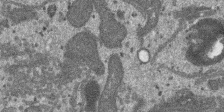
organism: Human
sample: Lung epithelial cells infected with SARS-CoV-2